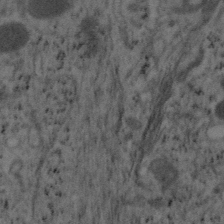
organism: Human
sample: HeLa cells